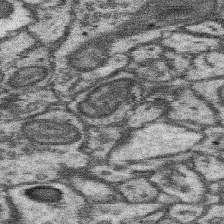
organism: Mouse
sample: Somatosensory cortex neuropil